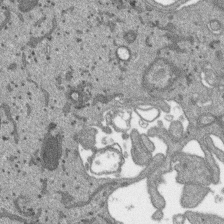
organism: Human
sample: Lung epithelial cells infected with SARS-CoV-2